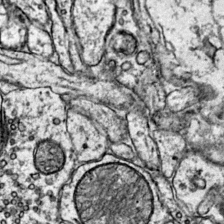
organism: Mouse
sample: Primary visual cortex